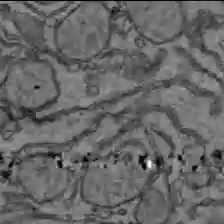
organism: C57BL Mouse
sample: Liver